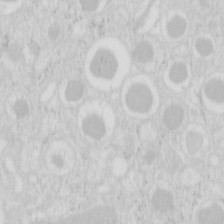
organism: Mouse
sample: Pancreas